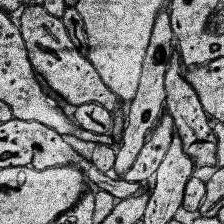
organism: Human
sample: Temporal Lobe